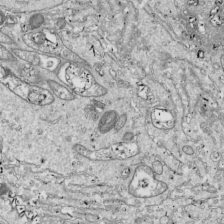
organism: Drosophila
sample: Cell division; meiosis; drosophila spermatocytes